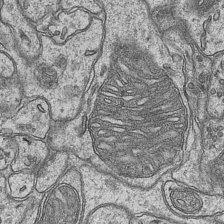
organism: Mouse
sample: CA1 Hippocampus